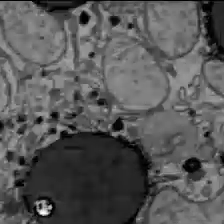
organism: C57BL Mouse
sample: Liver